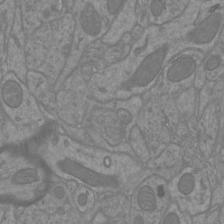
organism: Mouse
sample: Cortical neurons